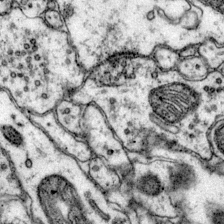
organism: Mouse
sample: Primary visual cortex